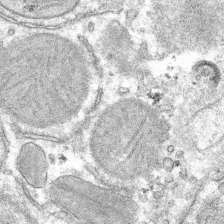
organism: Mouse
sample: Mouse hepatocytes